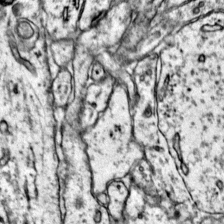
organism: Mouse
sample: Primary visual cortex